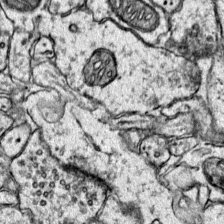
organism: Mouse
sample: Primary visual cortex